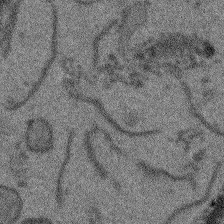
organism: Arabidopsis thaliana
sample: Root tip